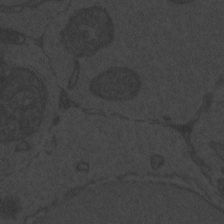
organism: Zebrafish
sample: Macrophage infected with Toxoplasma gondii